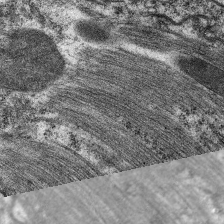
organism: C. elegans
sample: Pharynx